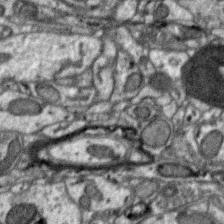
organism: Zebra finch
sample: Brain